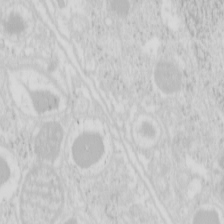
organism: Mouse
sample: Pancreas